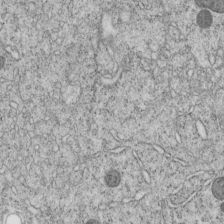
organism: C. elegans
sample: C. elegans embryo early stage